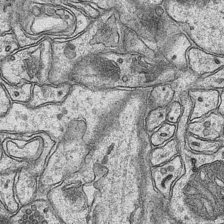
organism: Mouse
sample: CA1 Hippocampus